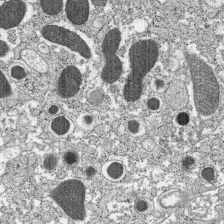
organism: C57BL Mouse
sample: Pancreatic islet